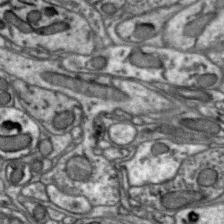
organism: Zebra finch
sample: Brain